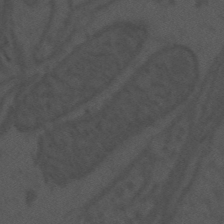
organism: Mouse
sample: Suprachiasmatic nucleus